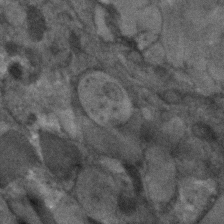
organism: Human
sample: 1205lu cells